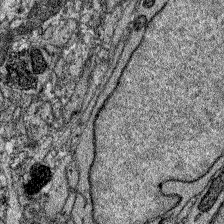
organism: Zebrafish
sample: Larval olfactory bulb